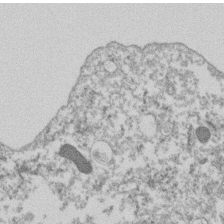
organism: Dictyostelium discoideum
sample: Dictyostelium multivesicular bodies